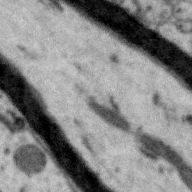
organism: Zebra finch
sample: Brain